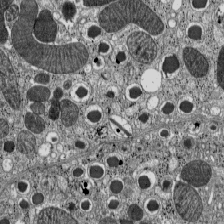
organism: C57BL Mouse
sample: Pancreatic islet